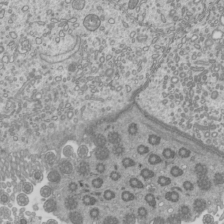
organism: Mouse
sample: Cilia; mouse epididymis